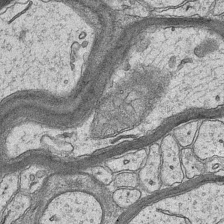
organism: Mouse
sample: CA1 Hippocampus